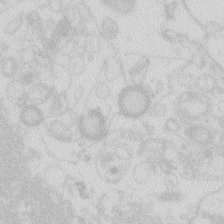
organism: Zebrafish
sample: Macrophage